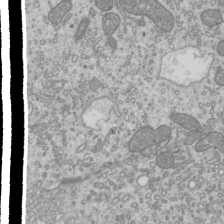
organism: Mouse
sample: Cilia; mouse epididymis